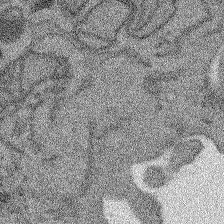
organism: Human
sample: HeLa cells